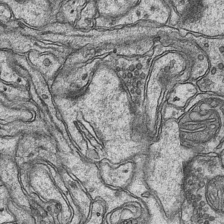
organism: Mouse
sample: CA1 Hippocampus